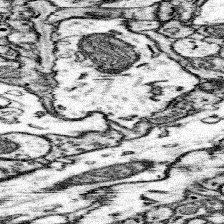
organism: Mouse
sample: Somatosensory cortex neuropil